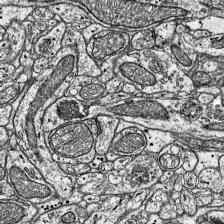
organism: Mouse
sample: Visual Cortex